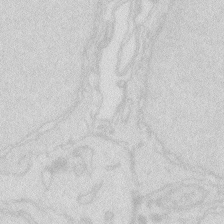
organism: Zebrafish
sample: Macrophage